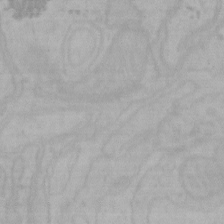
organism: Mouse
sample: Choroid plexus